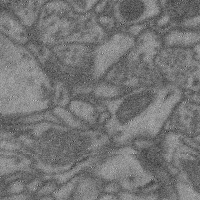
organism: Mouse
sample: Cerebral cortex